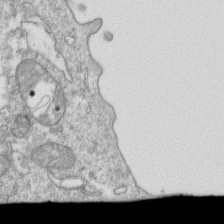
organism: Mouse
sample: Activated OT-1 CD8+ T cells